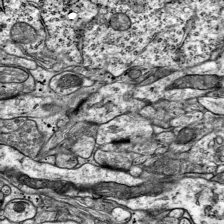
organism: Mouse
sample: Visual Cortex